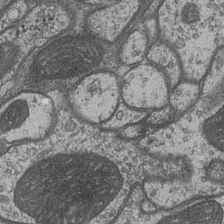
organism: Drosophila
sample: Optic medulla